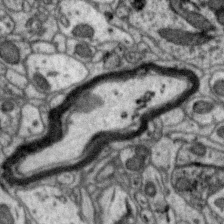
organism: Zebra finch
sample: Brain